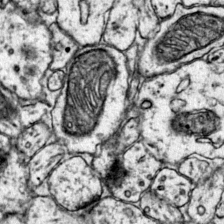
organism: Mouse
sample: Primary visual cortex